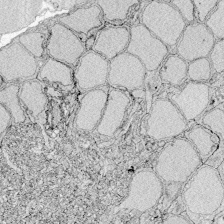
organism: Zebrafish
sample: Whole-Brain